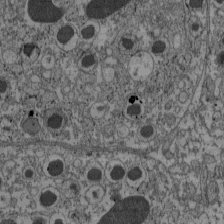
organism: C57BL Mouse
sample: Pancreatic islet